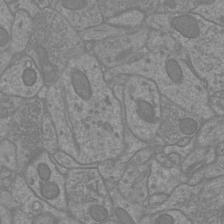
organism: Mouse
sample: Cortical neurons